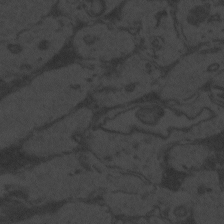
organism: Zebrafish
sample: Macrophage infected with Toxoplasma gondii